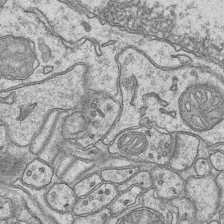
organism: Mouse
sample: CA1 Hippocampus